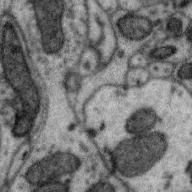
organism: Zebra finch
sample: Brain